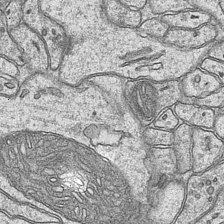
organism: Mouse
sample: CA1 Hippocampus